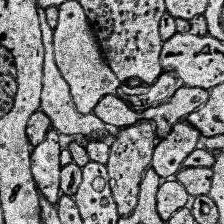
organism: Human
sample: Temporal Lobe